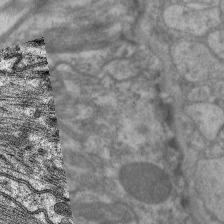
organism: C. elegans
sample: Pharynx